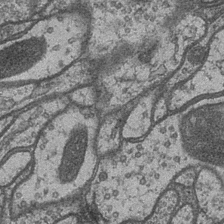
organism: Drosophila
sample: Optic medulla